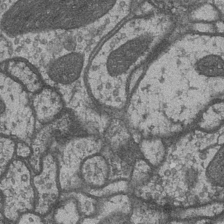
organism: Drosophila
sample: Optic medulla